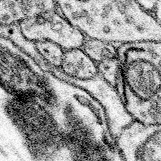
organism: Mouse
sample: Somatosensory cortex neuropil